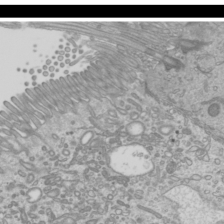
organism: Mouse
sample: Cilia; mouse epididymis